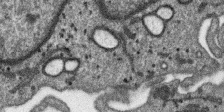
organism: Human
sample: Lung epithelial cells infected with SARS-CoV-2